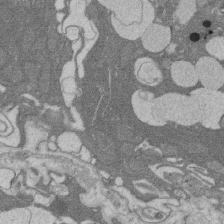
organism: Rat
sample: Salivary granule